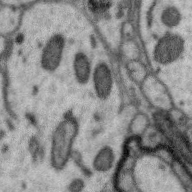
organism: Zebra finch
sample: Brain